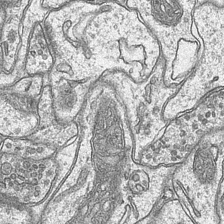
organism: Mouse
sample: CA1 Hippocampus